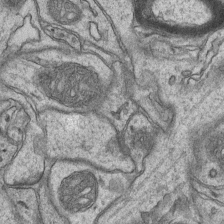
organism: Mouse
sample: CA1 Hippocampus